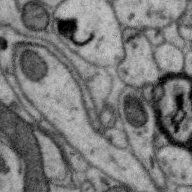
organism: Zebra finch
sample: Brain